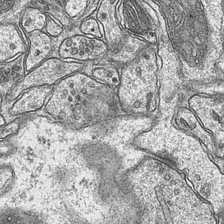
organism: Mouse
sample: CA1 Hippocampus